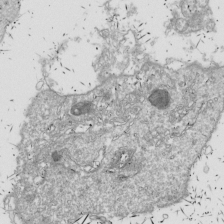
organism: Drosophila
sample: Cell division; meiosis; drosophila spermatocytes